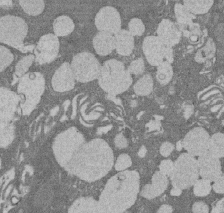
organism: Rat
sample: Salivary granule